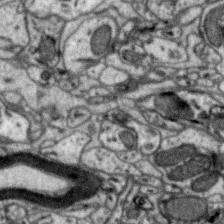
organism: Zebra finch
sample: Brain